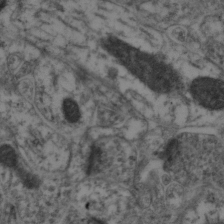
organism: Mouse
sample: Neocortex